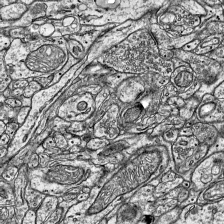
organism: Mouse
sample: Visual Cortex